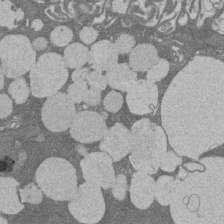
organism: Rat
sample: Salivary granule